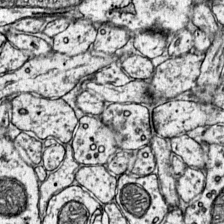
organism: Mouse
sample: Primary visual cortex